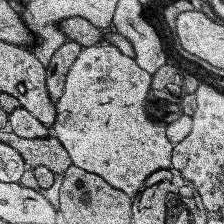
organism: Human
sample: Temporal Lobe